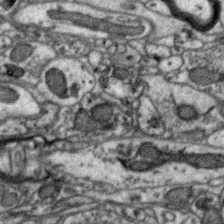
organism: Zebra finch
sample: Brain